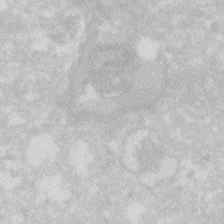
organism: Zebrafish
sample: Macrophage